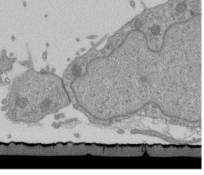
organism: Mouse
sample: ED-1 cell nuclei; centrioles